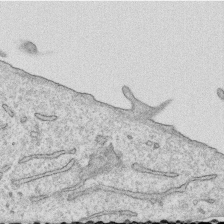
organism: Human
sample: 1205lu cells